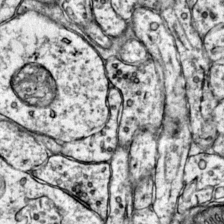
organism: Mouse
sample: Primary visual cortex